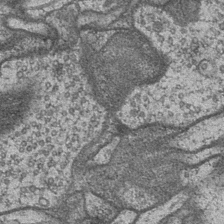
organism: Drosophila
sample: Optic medulla